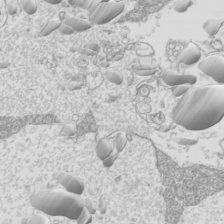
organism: Mouse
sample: Cilia; mouse epididymis